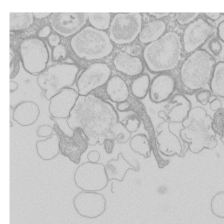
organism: Xenopus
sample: Cilia; centrioles in frog embryo cells